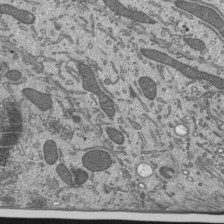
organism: Mouse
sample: Mouse epididymis efferent ductule cilia